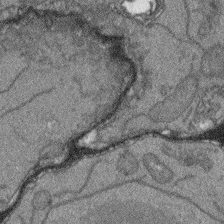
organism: Arabidopsis thaliana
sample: Root tip